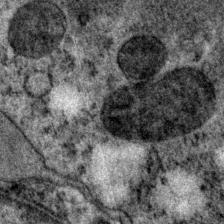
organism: P. pacificus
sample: Pharynx